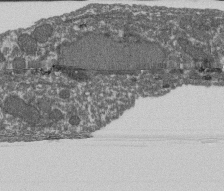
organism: Dictyostelium discoideum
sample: Dictyostelium multivesicular bodies